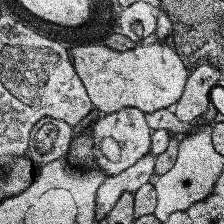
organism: Human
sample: Temporal Lobe